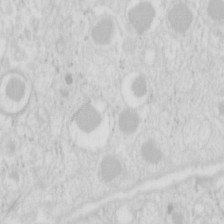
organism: Mouse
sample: Pancreas